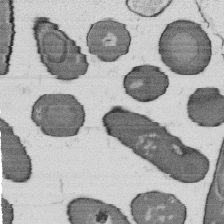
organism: B. subtilis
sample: Bacterial spore